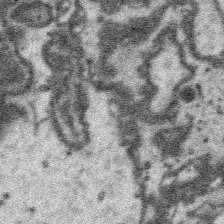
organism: Platynereis dumerilii